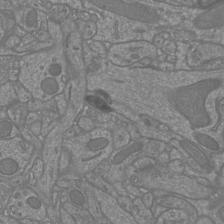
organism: Mouse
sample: Cortical neurons